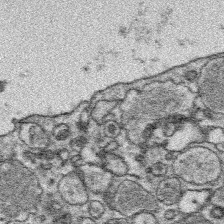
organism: Platynereis dumerilii